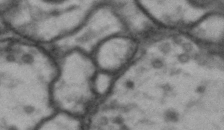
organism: Drosophila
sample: Brain